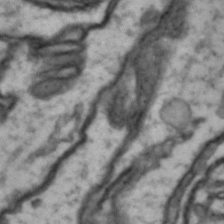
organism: Drosophila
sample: Brain